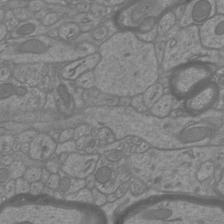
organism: Mouse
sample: Cortical neurons